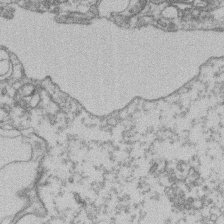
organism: Mouse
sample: T cell stromal cell synapse